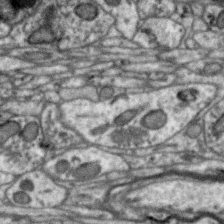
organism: Zebra finch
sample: Brain